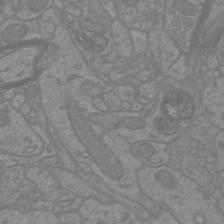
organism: Mouse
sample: Cortical neurons